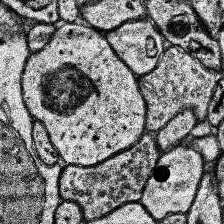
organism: Human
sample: Temporal Lobe